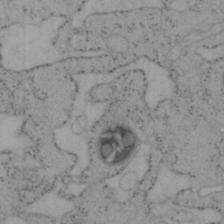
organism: Mouse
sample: OT-I killer T cells with ID8 ovarian cancer cells